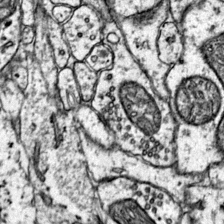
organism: Mouse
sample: Primary visual cortex